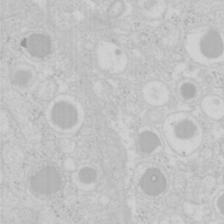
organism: Mouse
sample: Pancreas